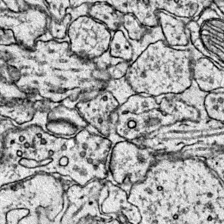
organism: Mouse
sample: Primary visual cortex